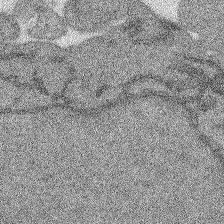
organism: Human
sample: HeLa cells